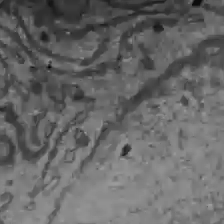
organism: C57BL Mouse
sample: Liver